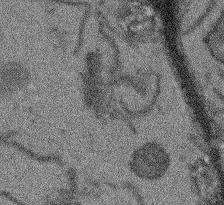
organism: Arabidopsis thaliana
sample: Root tip